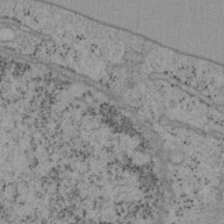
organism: Human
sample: HeLa cells